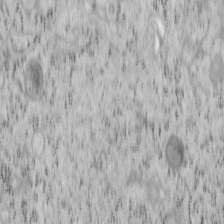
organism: Human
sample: HeLa cells